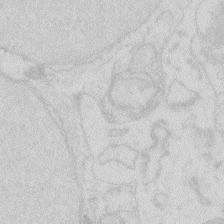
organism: Zebrafish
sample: Macrophage